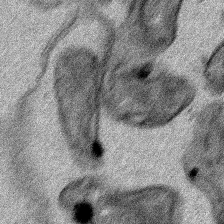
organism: Human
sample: Mitochondria in HCT116 cells